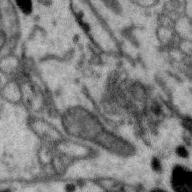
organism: Zebra finch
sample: Brain